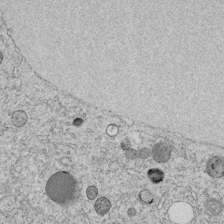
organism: C. elegans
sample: C. elegans embryo early stage